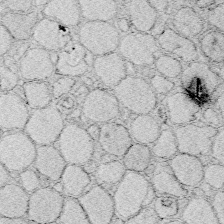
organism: Zebrafish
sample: Whole-Brain